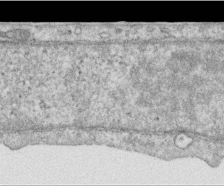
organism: Human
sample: Centriole in RPE cells